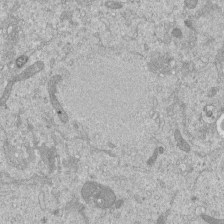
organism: Mouse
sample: ED-1 cell nuclei; centrioles